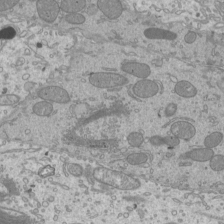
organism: Mouse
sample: Cilia; mouse epididymis